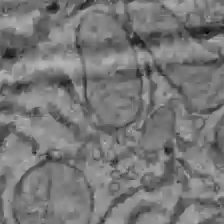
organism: C57BL Mouse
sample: Liver